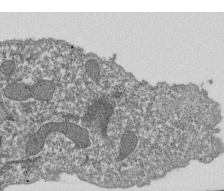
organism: Dictyostelium discoideum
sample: Dictyostelium multivesicular bodies